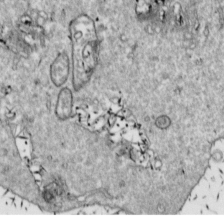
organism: Drosophila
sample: Cell division; meiosis; drosophila spermatocytes